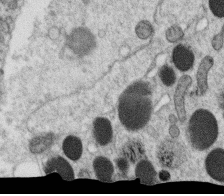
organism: C. elegans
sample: C. elegans oocyte; sperm cells